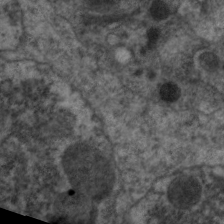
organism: C. elegans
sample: Pharynx